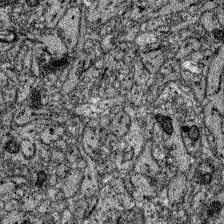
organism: Zebrafish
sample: Larval olfactory bulb